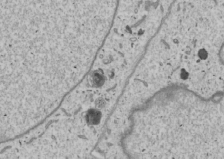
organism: Human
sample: Mitochondria in U2OS cells